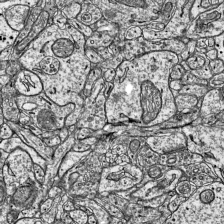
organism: Mouse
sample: Visual Cortex